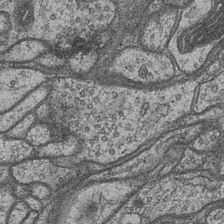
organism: Drosophila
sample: Optic medulla